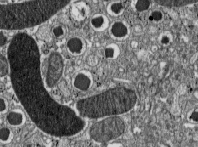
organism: C57BL Mouse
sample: Pancreatic islet